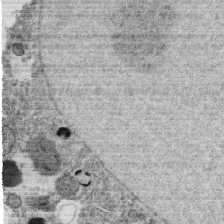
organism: C. elegans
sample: C. elegans oocyte; sperm cells